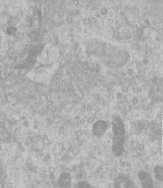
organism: Human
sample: Centriole in RPE cells